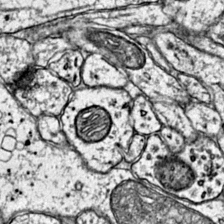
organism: Mouse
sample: Primary visual cortex